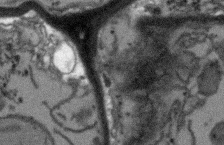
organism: Arabidopsis thaliana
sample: Root tip